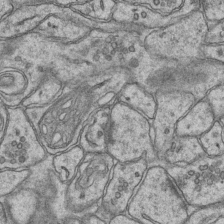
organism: Mouse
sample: CA1 Hippocampus